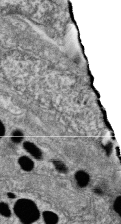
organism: Zebrafish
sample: Cilia; retinal pigment epithelium